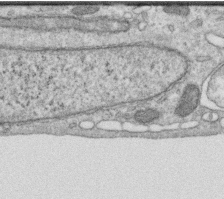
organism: Human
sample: Centriole in RPE cells